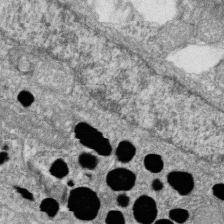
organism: Zebrafish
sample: Cilia; retinal pigment epithelium